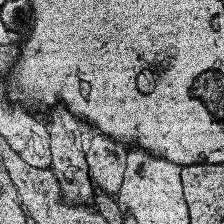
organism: Human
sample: Temporal Lobe